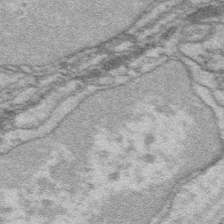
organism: Platynereis dumerilii